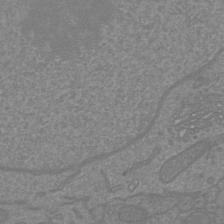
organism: Mouse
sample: Cortical neurons